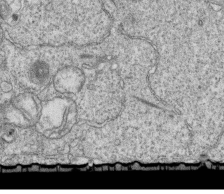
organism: Human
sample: HeLa cell HIV synapse